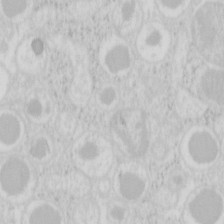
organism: Mouse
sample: Pancreas